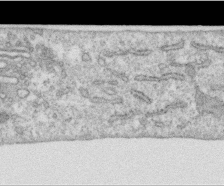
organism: Human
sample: Centriole in RPE cells